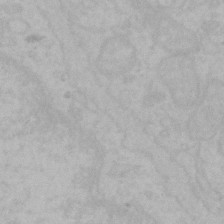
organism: Mouse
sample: Choroid plexus